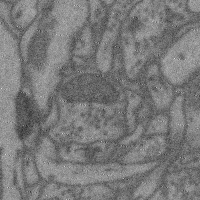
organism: Mouse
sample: Cerebral cortex